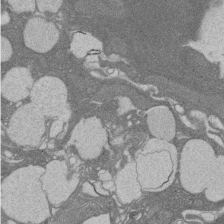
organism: Rat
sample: Salivary granule